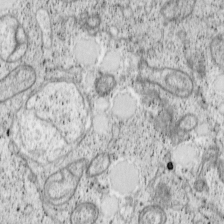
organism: African green monkey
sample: COS-7 cells